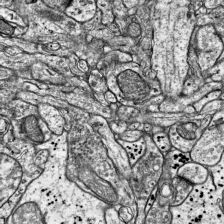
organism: Mouse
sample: Visual Cortex